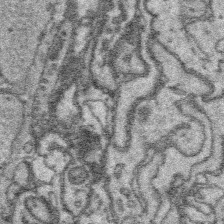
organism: Platynereis dumerilii